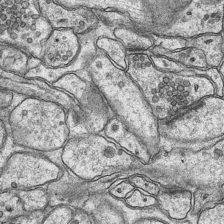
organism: Mouse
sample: CA1 Hippocampus